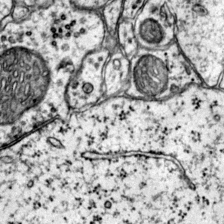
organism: Mouse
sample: Primary visual cortex